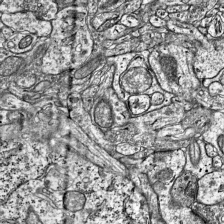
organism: Mouse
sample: Visual Cortex